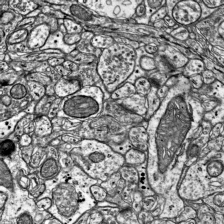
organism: Mouse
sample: Visual Cortex